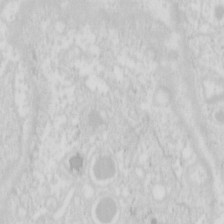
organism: Mouse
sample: Pancreas